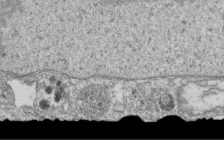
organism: Human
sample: HeLa cell HIV synapse